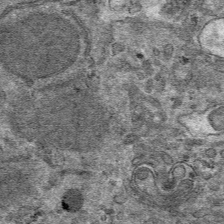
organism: Mouse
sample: Mouse hepatocytes